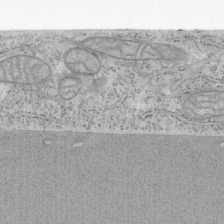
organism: Human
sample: HeLa cells